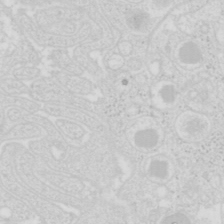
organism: Mouse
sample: Pancreas